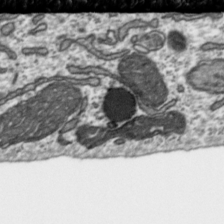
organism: Toxoplasma gondii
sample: Parasites in a vacuole inside a host cell